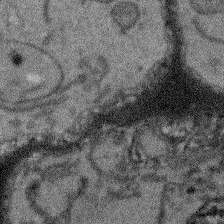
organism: Arabidopsis thaliana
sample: Root tip